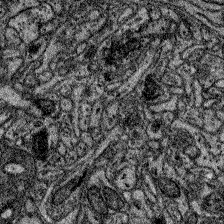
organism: Zebrafish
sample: Larval olfactory bulb